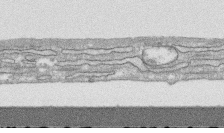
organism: Human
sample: CRL-1474